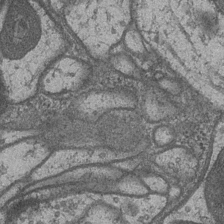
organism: Drosophila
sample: Optic medulla